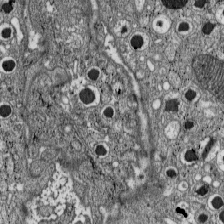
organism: C57BL Mouse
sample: Pancreatic islet